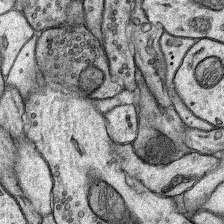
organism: Rat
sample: Hippocampus